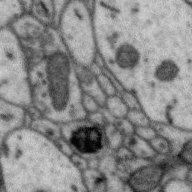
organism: Zebra finch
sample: Brain